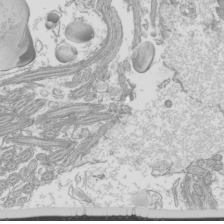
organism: Mouse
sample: Cilia; mouse epididymis